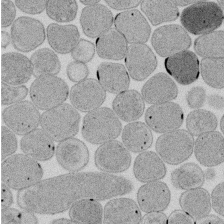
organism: E. coli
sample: Bacterial nucleoid